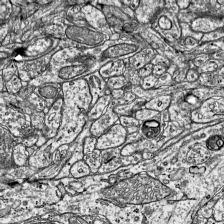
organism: Mouse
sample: Visual Cortex